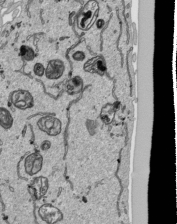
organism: Human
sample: Mitochondria in HCT116 cells